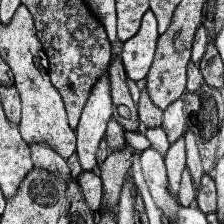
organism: Human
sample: Temporal Lobe